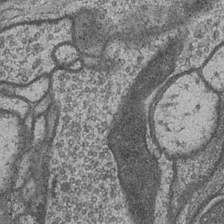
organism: Drosophila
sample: Optic medulla